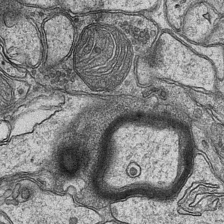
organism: Mouse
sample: CA1 Hippocampus